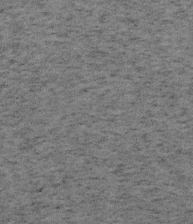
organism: Mouse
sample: OT-I killer T cells with ID8 ovarian cancer cells